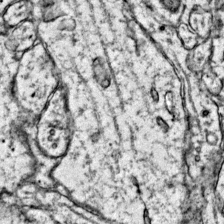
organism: Mouse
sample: Primary visual cortex